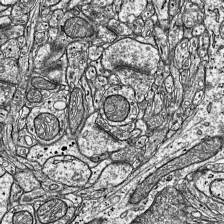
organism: Mouse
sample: Visual Cortex